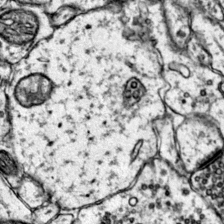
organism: Mouse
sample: Primary visual cortex